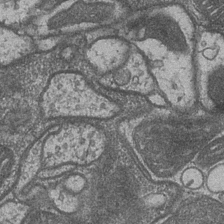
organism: Drosophila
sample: Optic medulla